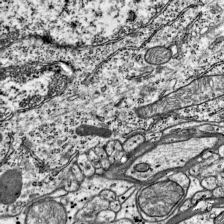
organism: Mouse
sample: Visual Cortex